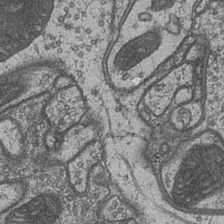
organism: Drosophila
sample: Optic medulla